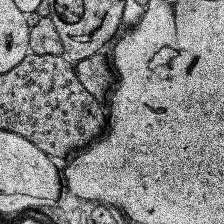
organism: Human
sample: Temporal Lobe